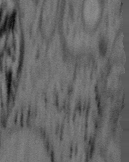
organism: Human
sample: HeLa cells